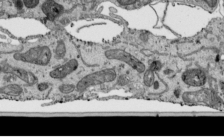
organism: Human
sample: Mitochondria in HCT116 cells